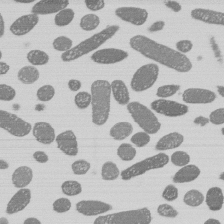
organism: E. coli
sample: Bacterial nucleoid